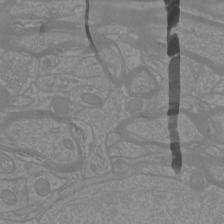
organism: Mouse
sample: Cortical neurons